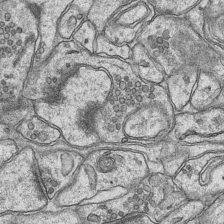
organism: Mouse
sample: CA1 Hippocampus